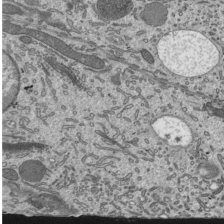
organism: Mouse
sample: Mouse epididymis efferent ductule cilia